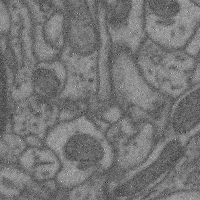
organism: Mouse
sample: Cerebral cortex